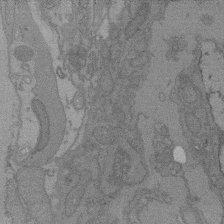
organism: C. elegans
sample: AFD neurons C. elegans